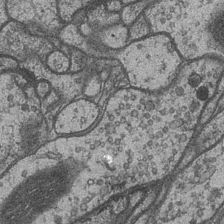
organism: Drosophila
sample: Optic medulla